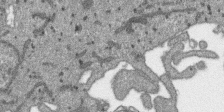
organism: Human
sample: Lung epithelial cells infected with SARS-CoV-2